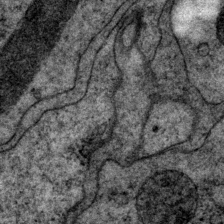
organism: P. pacificus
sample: Pharynx